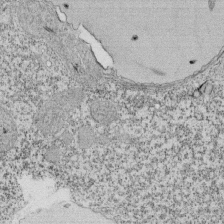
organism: Tetrahymena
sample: Cilia in tetrahymena